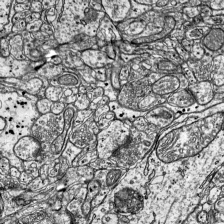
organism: Mouse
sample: Visual Cortex